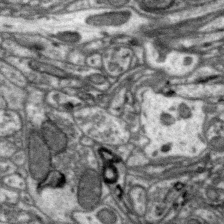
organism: Zebra finch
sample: Brain